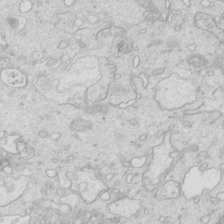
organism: Mouse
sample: Multiciliated cells